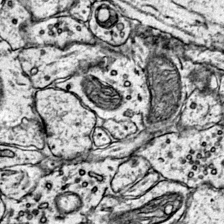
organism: Mouse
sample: Primary visual cortex